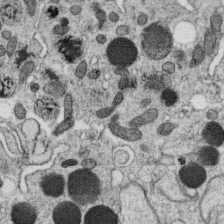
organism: C. elegans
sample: C. elegans oocyte; sperm cells